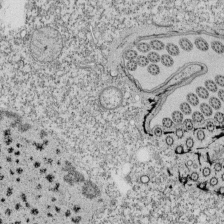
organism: Tetrahymena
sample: Cilia in tetrahymena